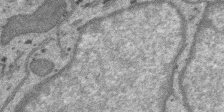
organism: Human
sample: Lung epithelial cells infected with SARS-CoV-2